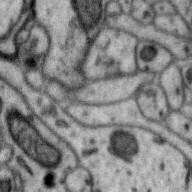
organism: Zebra finch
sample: Brain